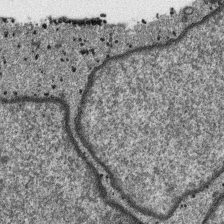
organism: Human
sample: Lung epithelial cells infected with SARS-CoV-2